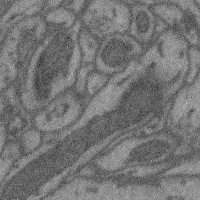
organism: Mouse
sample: Cerebral cortex